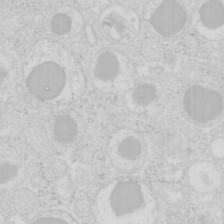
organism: Mouse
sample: Pancreas